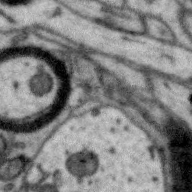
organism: Zebra finch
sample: Brain